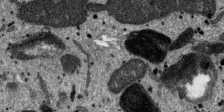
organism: Human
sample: Lung epithelial cells, uninfected (mock) control